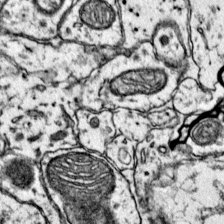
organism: Mouse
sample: Primary visual cortex